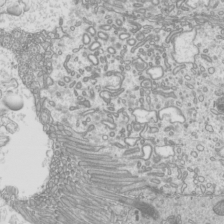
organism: Mouse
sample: Cilia; mouse epididymis